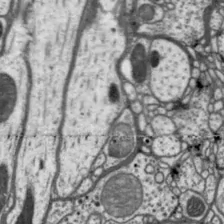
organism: Drosophila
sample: Protocerebral bridge